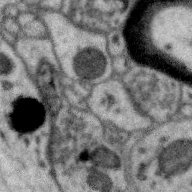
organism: Zebra finch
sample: Brain